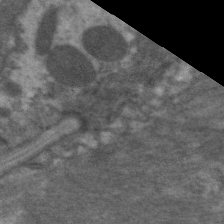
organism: C. elegans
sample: Pharynx